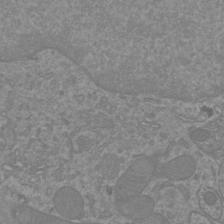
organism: Mouse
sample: Cortical neurons